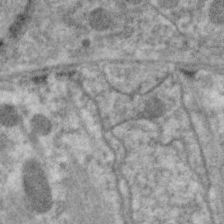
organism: C. elegans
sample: Pharynx